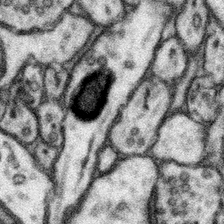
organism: Mouse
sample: Somatosensory cortex neuropil